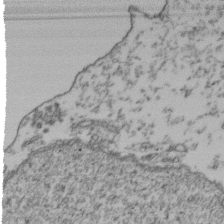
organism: Human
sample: Activated Jurkat CD4+ T cells